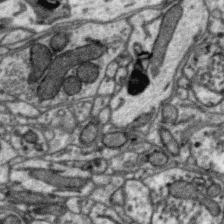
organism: Zebra finch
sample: Brain